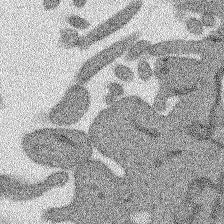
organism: Human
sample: HeLa cells